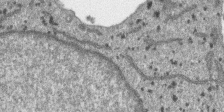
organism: Human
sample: Lung epithelial cells infected with SARS-CoV-2